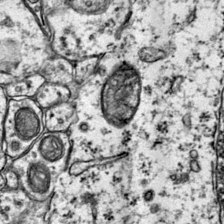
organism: Mouse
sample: Primary visual cortex